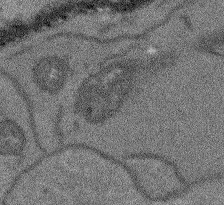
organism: Arabidopsis thaliana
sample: Root tip